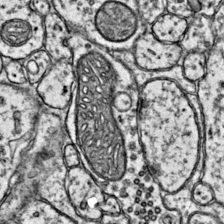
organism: Mouse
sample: Primary visual cortex